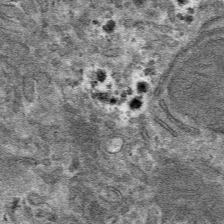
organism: Mouse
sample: Mouse hepatocytes